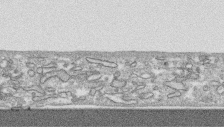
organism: Human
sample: CRL-1474